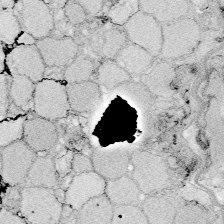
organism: Zebrafish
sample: Whole-Brain